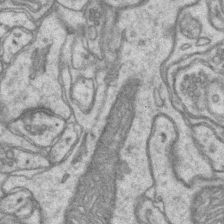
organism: Mouse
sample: CA1 Hippocampus